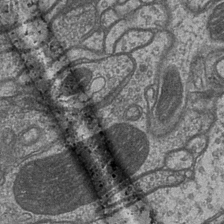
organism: Drosophila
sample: Optic medulla